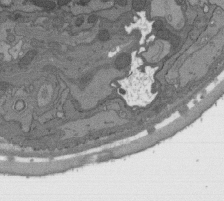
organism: C. elegans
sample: AFD neurons C. elegans